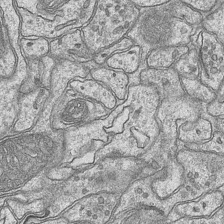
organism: Mouse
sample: CA1 Hippocampus